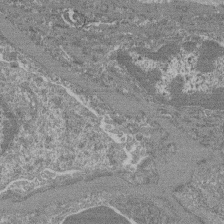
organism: Mouse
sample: Glomerulus